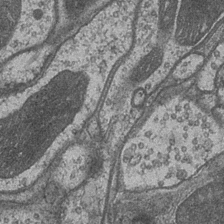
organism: Drosophila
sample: Optic medulla